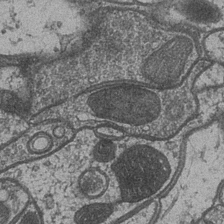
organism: Drosophila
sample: Optic medulla